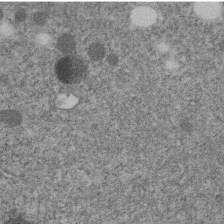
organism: C. elegans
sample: C. elegans embryo early stage